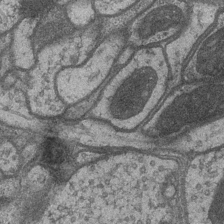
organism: Drosophila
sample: Optic medulla